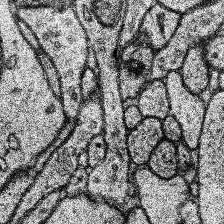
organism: Human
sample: Temporal Lobe